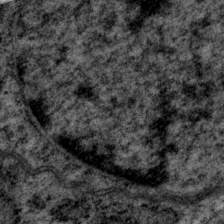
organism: P. pacificus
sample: Pharynx